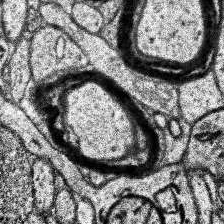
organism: Human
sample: Temporal Lobe